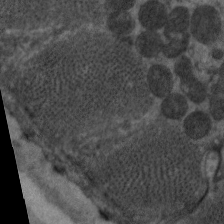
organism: C. elegans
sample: Pharynx